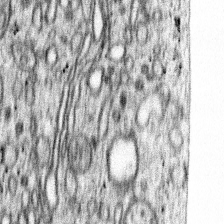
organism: Human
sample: HeLa cells